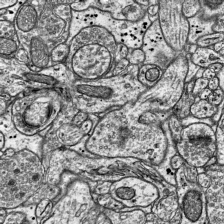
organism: Mouse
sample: Visual Cortex